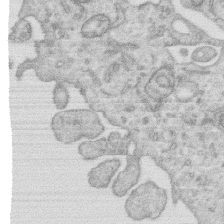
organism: Human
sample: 1205lu cells